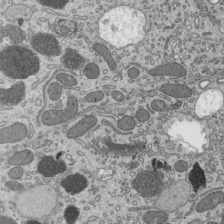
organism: Mouse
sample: Mouse epididymis efferent ductule cilia